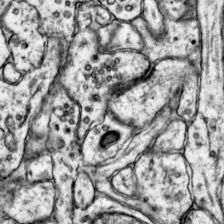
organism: Mouse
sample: Primary visual cortex